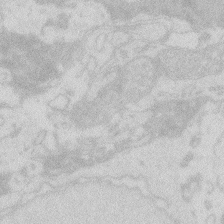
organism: Zebrafish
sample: Macrophage